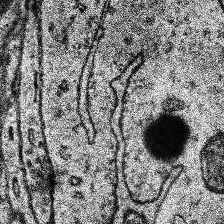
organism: Human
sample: Temporal Lobe